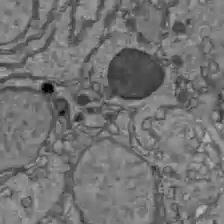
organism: C57BL Mouse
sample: Liver